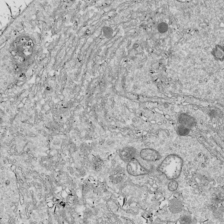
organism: Drosophila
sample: Cell division; meiosis; drosophila spermatocytes